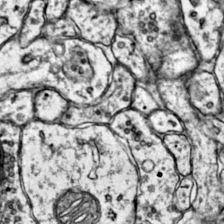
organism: Mouse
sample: Primary visual cortex